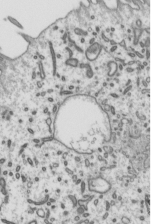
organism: Mouse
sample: Mouse epididymis efferent ductule cilia